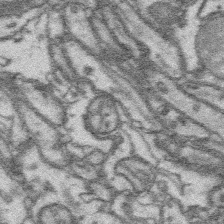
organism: Platynereis dumerilii